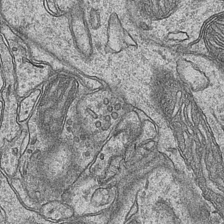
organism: Mouse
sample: CA1 Hippocampus